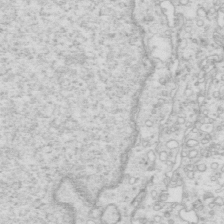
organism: Mouse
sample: Multiciliated cells